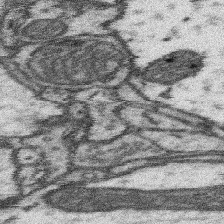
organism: Mouse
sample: Somatosensory cortex neuropil